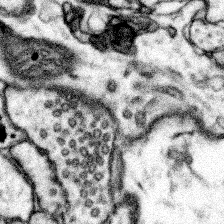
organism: Mouse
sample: Somatosensory cortex neuropil